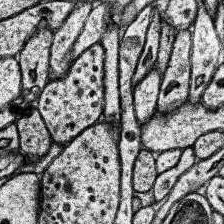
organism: Human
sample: Temporal Lobe